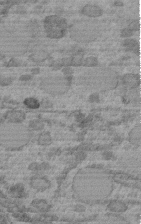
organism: C. elegans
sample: C. elegans embryo early stage